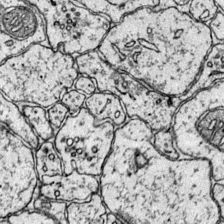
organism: Mouse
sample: Primary visual cortex